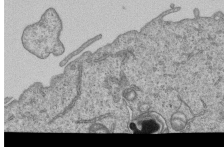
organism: Human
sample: MDA-MB-231 cells